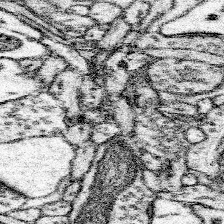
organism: Mouse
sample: Somatosensory cortex neuropil